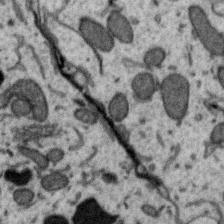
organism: Zebra finch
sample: Brain